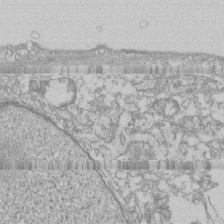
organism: Human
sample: CRL-1474